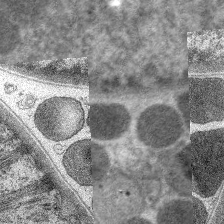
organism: C. elegans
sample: Pharynx